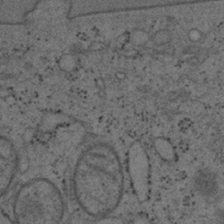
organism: Human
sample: HeLa cells